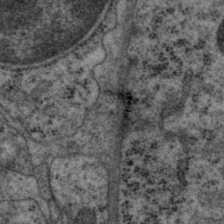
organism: P. pacificus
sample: Pharynx